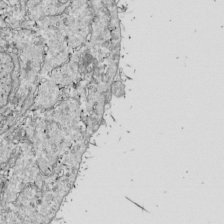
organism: Drosophila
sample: Cell division; meiosis; drosophila spermatocytes